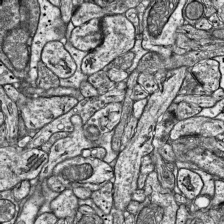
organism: Mouse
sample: Visual Cortex